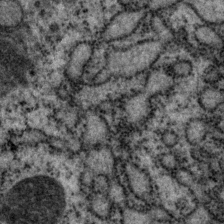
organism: P. pacificus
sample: Pharynx